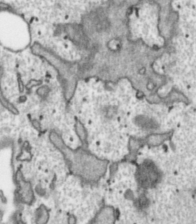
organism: Toxoplasma gondii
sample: Parasites in a vacuole inside a host cell